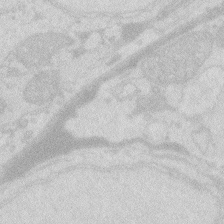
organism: Zebrafish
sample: Macrophage